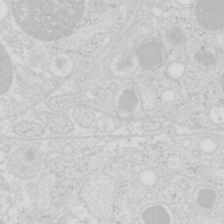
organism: Mouse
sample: Pancreas